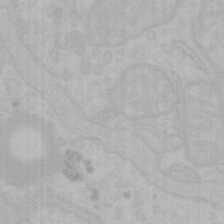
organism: Mouse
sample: Choroid plexus